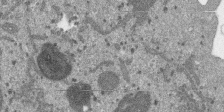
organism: Human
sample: Lung epithelial cells infected with SARS-CoV-2